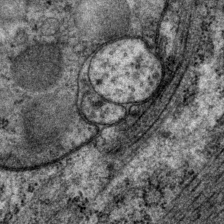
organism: P. pacificus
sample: Pharynx